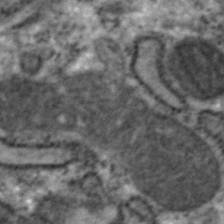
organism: Zebrafish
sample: Zebrafish embryo